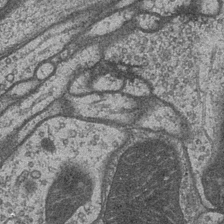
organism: Drosophila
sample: Optic medulla